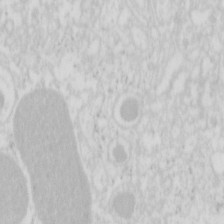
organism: Mouse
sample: Pancreas